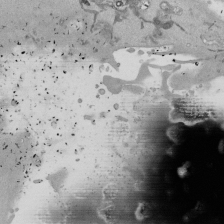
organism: Mouse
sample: ED-1 cell nuclei; centrioles